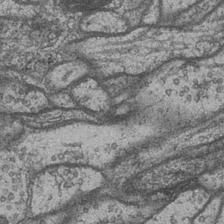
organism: Drosophila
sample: Optic medulla